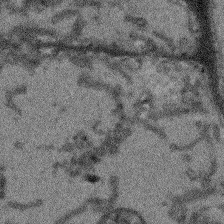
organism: Arabidopsis thaliana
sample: Root tip